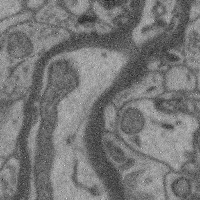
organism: Mouse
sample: Cerebral cortex